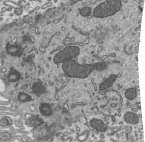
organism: Mouse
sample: Mouse epididymis efferent ductule cilia